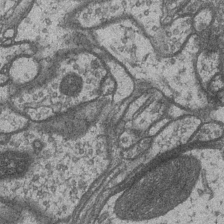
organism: Drosophila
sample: Optic medulla